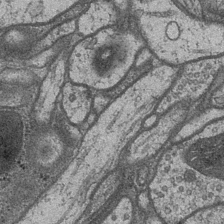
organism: Drosophila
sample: Optic medulla